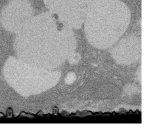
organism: Rat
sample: Salivary granule